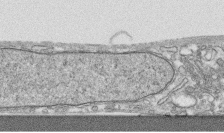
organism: Human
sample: CRL-1474